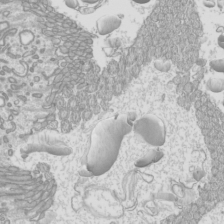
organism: Mouse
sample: Cilia; mouse epididymis